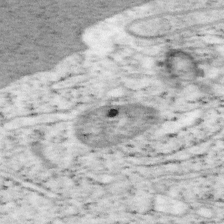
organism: Mouse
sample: OT-I killer T cells with ID8 ovarian cancer cells